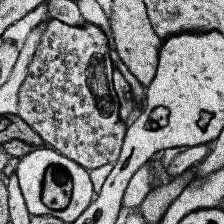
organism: Human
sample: Temporal Lobe